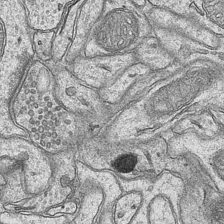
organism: Mouse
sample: CA1 Hippocampus